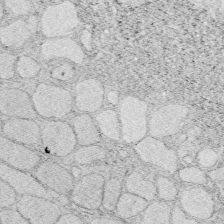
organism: Zebrafish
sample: Whole-Brain